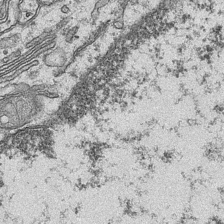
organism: Mouse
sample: CA1 Hippocampus